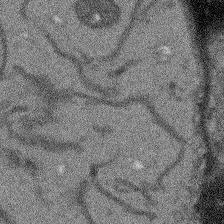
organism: Arabidopsis thaliana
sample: Root tip